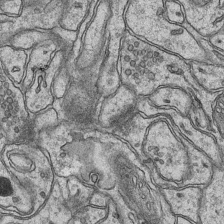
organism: Mouse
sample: CA1 Hippocampus